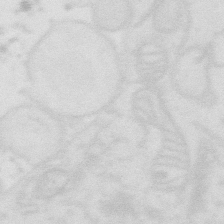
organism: Human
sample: HeLa cells